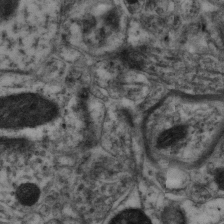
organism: Mouse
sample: Neocortex